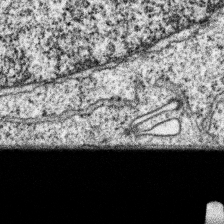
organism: Human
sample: HeLa cells